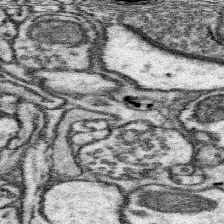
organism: Mouse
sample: Somatosensory cortex neuropil